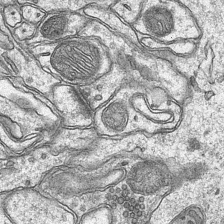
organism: Mouse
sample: CA1 Hippocampus